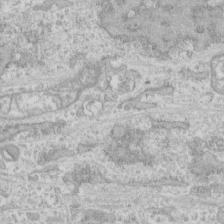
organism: Human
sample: CRL-1474